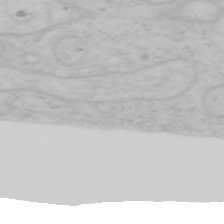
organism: Mouse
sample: OT-I killer T cells with ID8 ovarian cancer cells